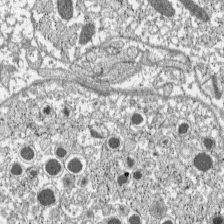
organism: C57BL Mouse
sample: Pancreatic islet